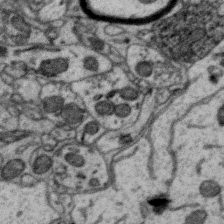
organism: Zebra finch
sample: Brain